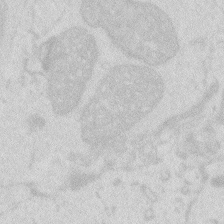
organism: Zebrafish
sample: Macrophage